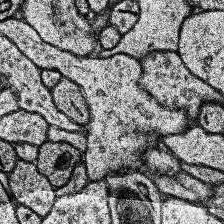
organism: Human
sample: Temporal Lobe